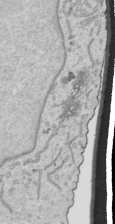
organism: Human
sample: Mitochondria in HCT116 cells